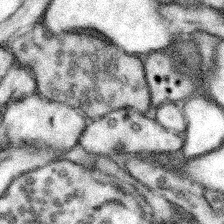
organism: Mouse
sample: Somatosensory cortex neuropil